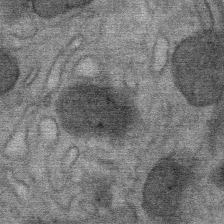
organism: Mouse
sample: Mouse Salivary gland